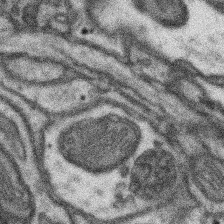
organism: Mouse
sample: Somatosensory cortex neuropil